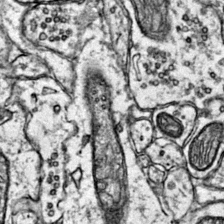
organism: Mouse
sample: Primary visual cortex